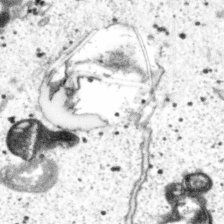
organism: Human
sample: HeLa cells